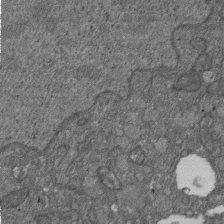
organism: Drosophila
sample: Nephrocyte